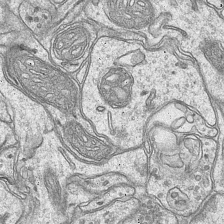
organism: Mouse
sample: CA1 Hippocampus